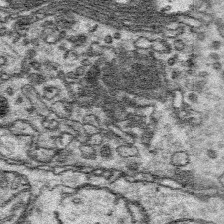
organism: Platynereis dumerilii